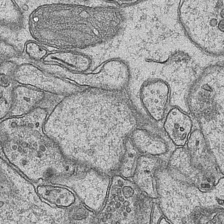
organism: Mouse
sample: CA1 Hippocampus